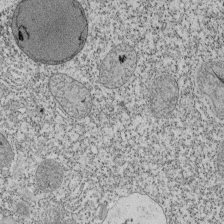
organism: Tetrahymena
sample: Cilia in tetrahymena